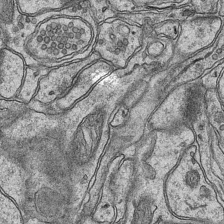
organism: Mouse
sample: CA1 Hippocampus